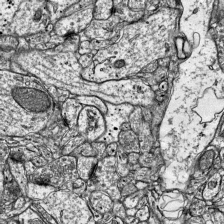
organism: Mouse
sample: Visual Cortex